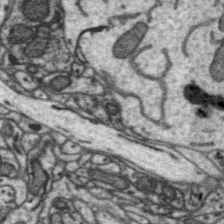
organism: Zebra finch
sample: Brain